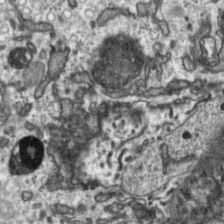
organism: Toxoplasma gondii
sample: Parasites in a vacuole inside a host cell